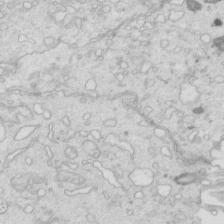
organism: Mouse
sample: Multiciliated cells